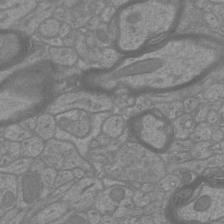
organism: Mouse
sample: Cortical neurons